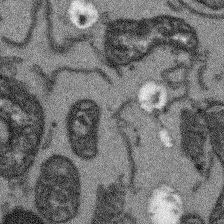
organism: Arabidopsis thaliana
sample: Root tip